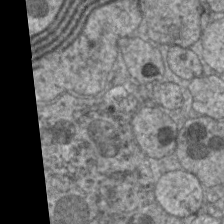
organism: C. elegans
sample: Pharynx